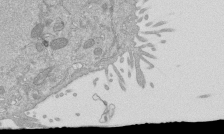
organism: Mouse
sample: ED-1 cell nuclei; centrioles